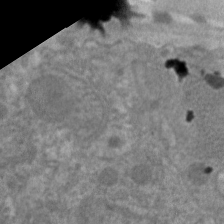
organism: C. elegans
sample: Pharynx